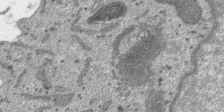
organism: Human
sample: Lung epithelial cells infected with SARS-CoV-2